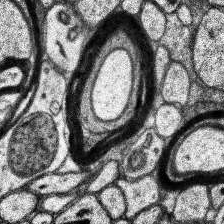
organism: Human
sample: Temporal Lobe